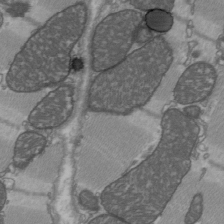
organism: C57BL Mouse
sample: Heart